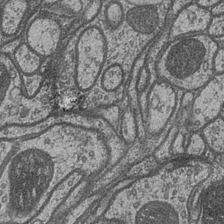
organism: Drosophila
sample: Optic medulla